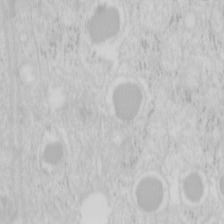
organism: Mouse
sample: Pancreas